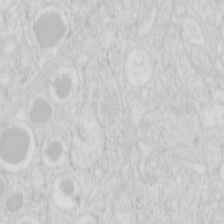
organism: Mouse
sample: Pancreas